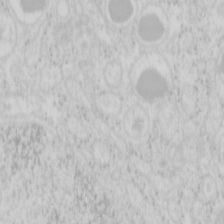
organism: Mouse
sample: Pancreas